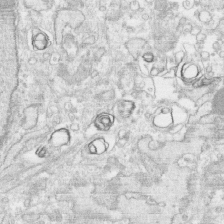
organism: Human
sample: CRL-1474